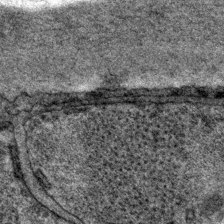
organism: P. pacificus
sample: Pharynx